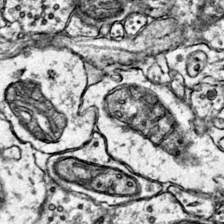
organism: Mouse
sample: Primary visual cortex